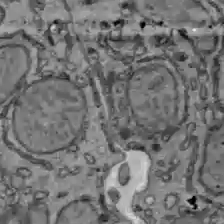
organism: C57BL Mouse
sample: Liver